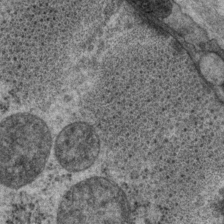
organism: P. pacificus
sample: Pharynx